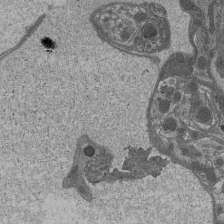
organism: Drosophila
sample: Antenna